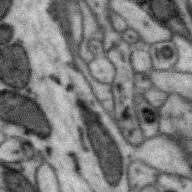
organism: Zebra finch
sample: Brain